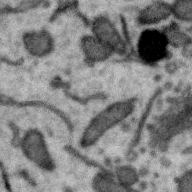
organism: Zebra finch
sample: Brain